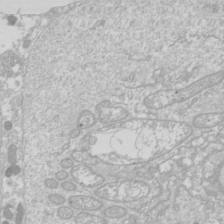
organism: Drosophila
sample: Cell division; meiosis; drosophila spermatocytes